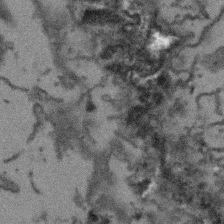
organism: Arabidopsis thaliana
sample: Root tip